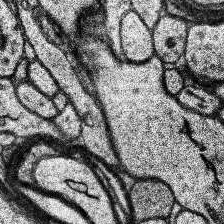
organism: Human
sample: Temporal Lobe